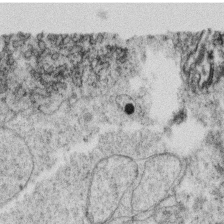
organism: C. elegans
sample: C. elegans oocyte; sperm cells